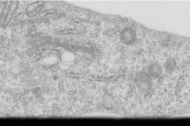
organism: Human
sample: Centriole in RPE cells